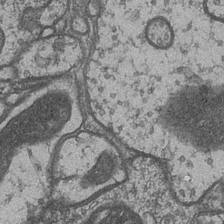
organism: Drosophila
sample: Optic medulla